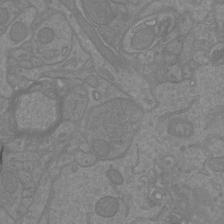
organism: Mouse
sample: Cortical neurons